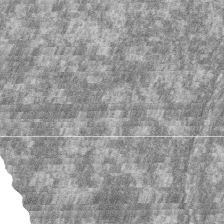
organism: Zebrafish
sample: Cilia; retinal pigment epithelium